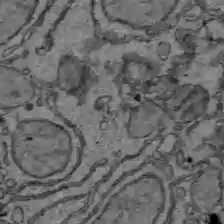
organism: C57BL Mouse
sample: Liver